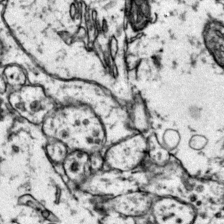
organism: Mouse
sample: Primary visual cortex